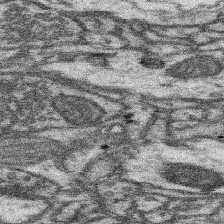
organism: Mouse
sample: Somatosensory cortex neuropil